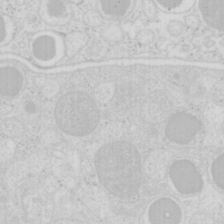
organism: Mouse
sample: Pancreas